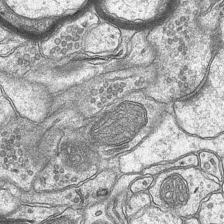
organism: Mouse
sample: CA1 Hippocampus